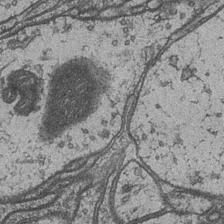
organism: Drosophila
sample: Optic medulla